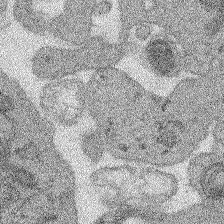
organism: Human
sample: HeLa cells